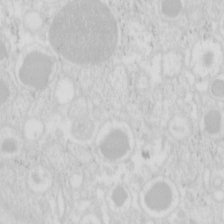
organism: Mouse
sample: Pancreas